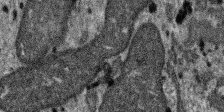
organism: Human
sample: Lung epithelial cells infected with SARS-CoV-2